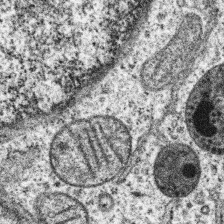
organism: Human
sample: HeLa cells